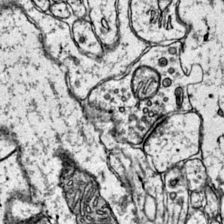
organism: Mouse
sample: Primary visual cortex